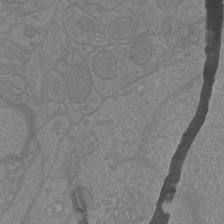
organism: Mouse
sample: Cortical neurons